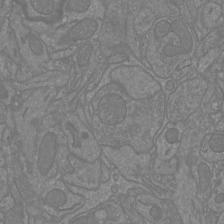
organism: Mouse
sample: Cortical neurons